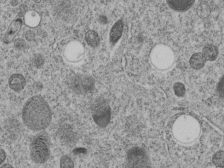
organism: C. elegans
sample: C. elegans embryo early stage